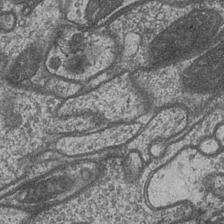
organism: Drosophila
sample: Optic medulla